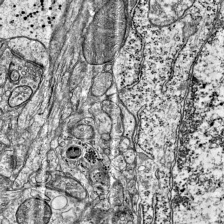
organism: Mouse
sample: Visual Cortex